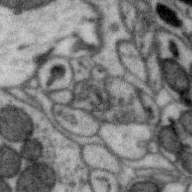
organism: Zebra finch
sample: Brain